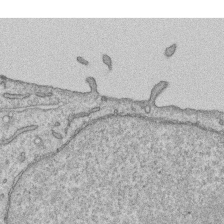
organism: Human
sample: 1205lu cells